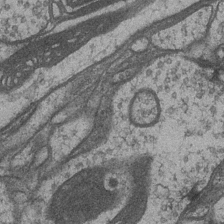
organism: Drosophila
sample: Optic medulla